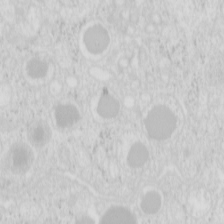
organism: Mouse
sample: Pancreas